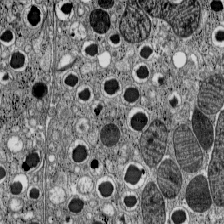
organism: C57BL Mouse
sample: Pancreatic islet